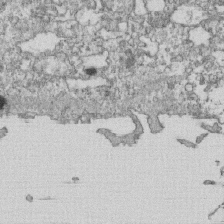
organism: Human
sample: HeLa cell HIV synapse